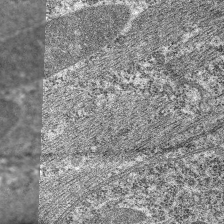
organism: C. elegans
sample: Pharynx